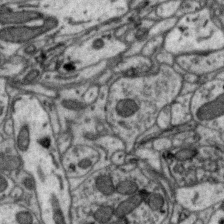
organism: Zebra finch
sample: Brain